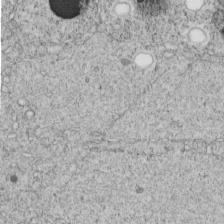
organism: C. elegans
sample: C. elegans embryo early stage